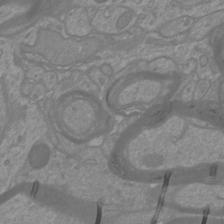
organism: Mouse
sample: Cortical neurons